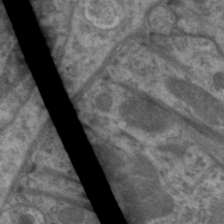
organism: C. elegans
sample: Pharynx